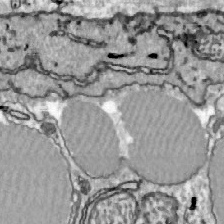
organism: Zebrafish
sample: Actinotrichia fibers